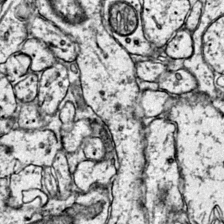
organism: Mouse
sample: Primary visual cortex